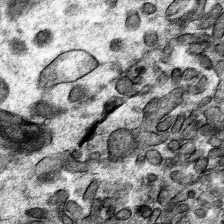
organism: Mouse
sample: Mouse hepatocytes